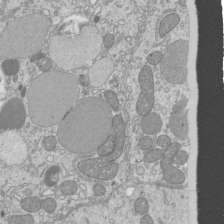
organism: Mouse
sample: Cilia; mouse epididymis